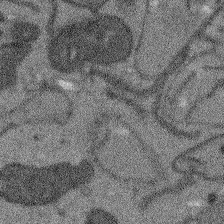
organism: Arabidopsis thaliana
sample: Root tip